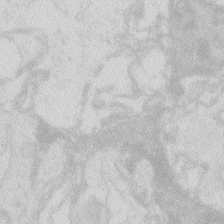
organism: Zebrafish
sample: Macrophage